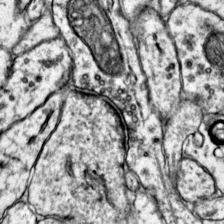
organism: Mouse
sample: Primary visual cortex